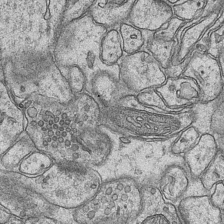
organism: Mouse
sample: CA1 Hippocampus